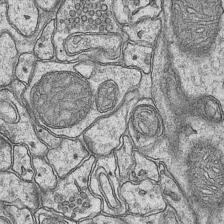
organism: Mouse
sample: CA1 Hippocampus